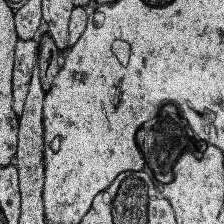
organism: Human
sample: Temporal Lobe